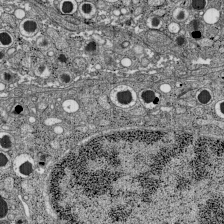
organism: C57BL Mouse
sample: Pancreatic islet